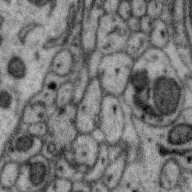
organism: Zebra finch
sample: Brain